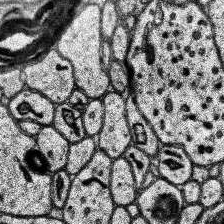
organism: Human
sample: Temporal Lobe